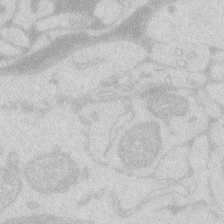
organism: Zebrafish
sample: Macrophage